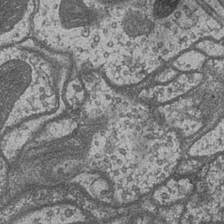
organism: Drosophila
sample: Optic medulla